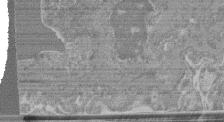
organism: Mouse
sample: Glomerulus